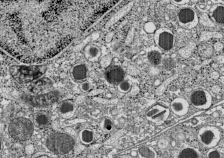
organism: C57BL Mouse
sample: Pancreatic islet